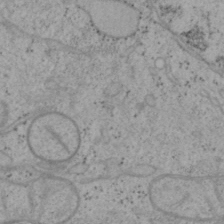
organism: Human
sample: HeLa cells